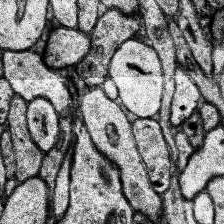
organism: Human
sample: Temporal Lobe